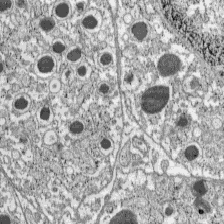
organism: C57BL Mouse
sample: Pancreatic islet